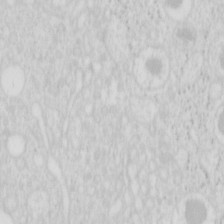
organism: Mouse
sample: Pancreas